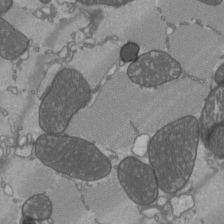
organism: C57BL Mouse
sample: Heart